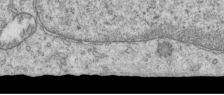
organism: Human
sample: Centriole in RPE cells